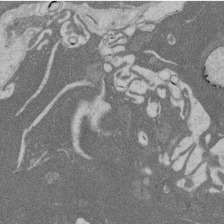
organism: Rat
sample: Salivary granule